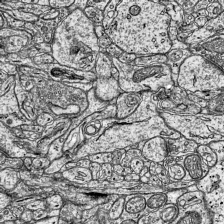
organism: Mouse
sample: Visual Cortex